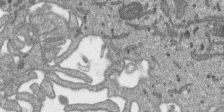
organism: Human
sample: Lung epithelial cells infected with SARS-CoV-2